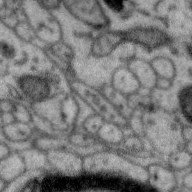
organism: Zebra finch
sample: Brain